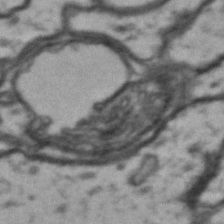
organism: Drosophila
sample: Brain